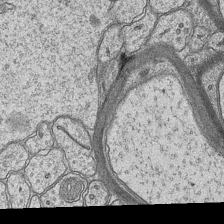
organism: Mouse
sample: CA1 Hippocampus